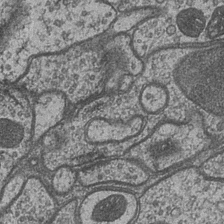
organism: Drosophila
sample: Optic medulla